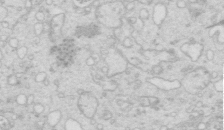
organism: Mouse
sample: Multiciliated cells